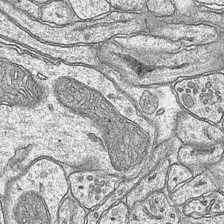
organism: Mouse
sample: CA1 Hippocampus